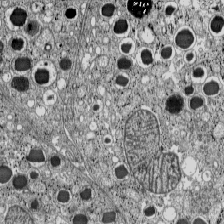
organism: C57BL Mouse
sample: Pancreatic islet